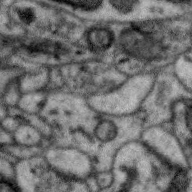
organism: Zebra finch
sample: Brain